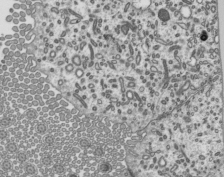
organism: Mouse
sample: Mouse epididymis efferent ductule cilia